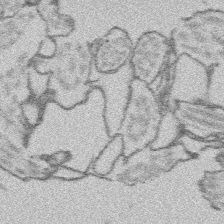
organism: Platynereis dumerilii